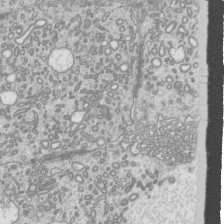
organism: Mouse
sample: Cilia; mouse epididymis